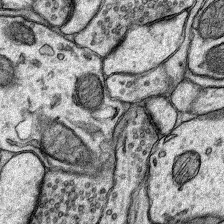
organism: Rat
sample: Hippocampus